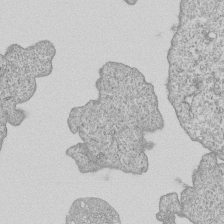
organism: Human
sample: MDA-MB-231 cells